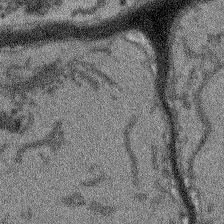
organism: Arabidopsis thaliana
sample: Root tip